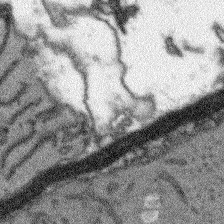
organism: Arabidopsis thaliana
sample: Root tip